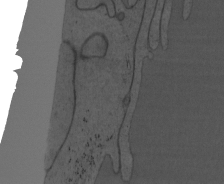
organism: Mouse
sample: OT-I killer T cells with ID8 ovarian cancer cells